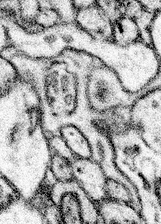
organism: Mouse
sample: Somatosensory cortex neuropil